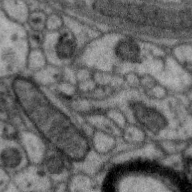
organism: Zebra finch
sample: Brain